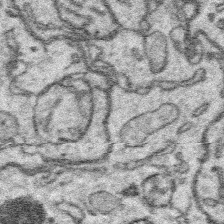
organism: Platynereis dumerilii